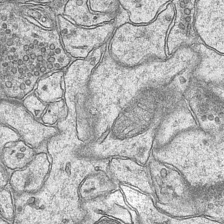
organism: Mouse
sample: CA1 Hippocampus